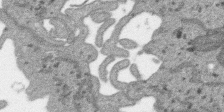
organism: Human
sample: Lung epithelial cells infected with SARS-CoV-2